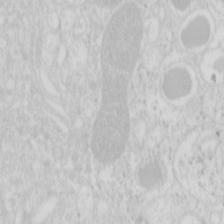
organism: Mouse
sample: Pancreas